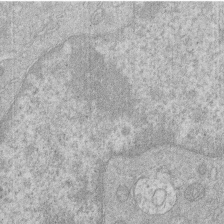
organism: Human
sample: Macrophage cells